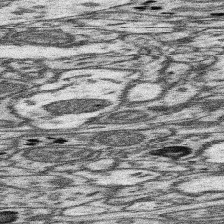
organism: Mouse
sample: Somatosensory cortex neuropil